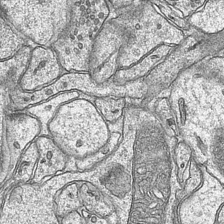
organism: Mouse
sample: CA1 Hippocampus